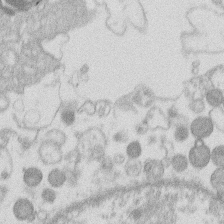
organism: Human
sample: Macrophage cells